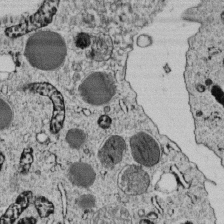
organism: C. elegans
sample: C. elegans embryo early stage